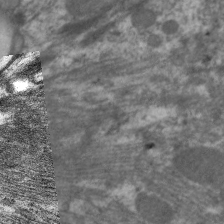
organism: C. elegans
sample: Pharynx